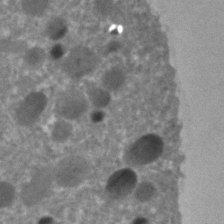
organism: C. elegans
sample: C. elegans embryo